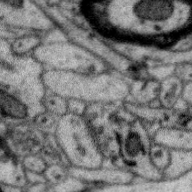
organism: Zebra finch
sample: Brain